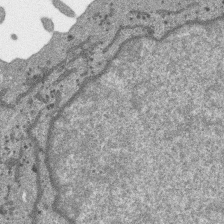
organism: Human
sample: Lung epithelial cells infected with SARS-CoV-2